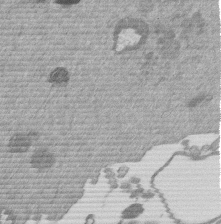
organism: Mouse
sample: Dividing mouse embryo 1 cell stage